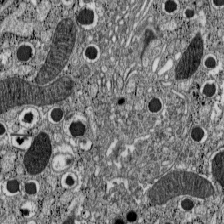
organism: C57BL Mouse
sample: Pancreatic islet